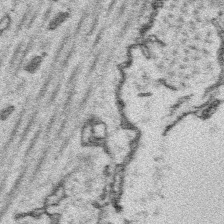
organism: Platynereis dumerilii